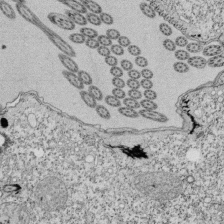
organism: Tetrahymena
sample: Cilia in tetrahymena